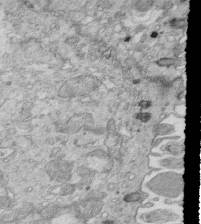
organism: Mouse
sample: Multiciliated cells